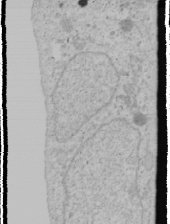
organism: Human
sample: Mitochondria in U2OS cells